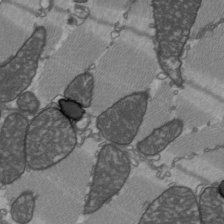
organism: C57BL Mouse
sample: Heart